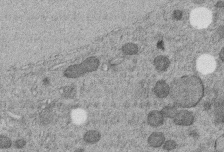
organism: C. elegans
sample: C. elegans embryo early stage